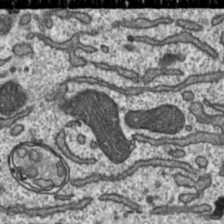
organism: Toxoplasma gondii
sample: Parasites in a vacuole inside a host cell